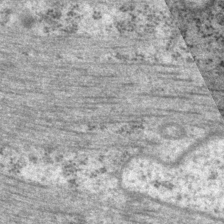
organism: P. pacificus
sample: Pharynx